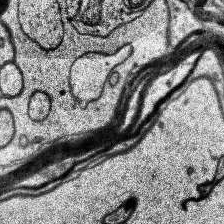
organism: Human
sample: Temporal Lobe